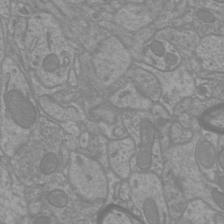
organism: Mouse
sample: Cortical neurons